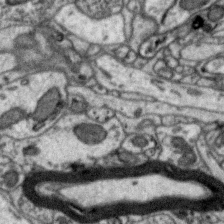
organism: Zebra finch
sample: Brain